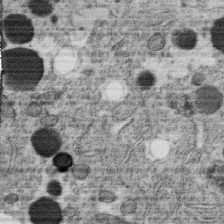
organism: C. elegans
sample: C. elegans oocyte; sperm cells